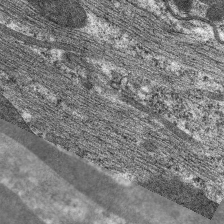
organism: C. elegans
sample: Pharynx